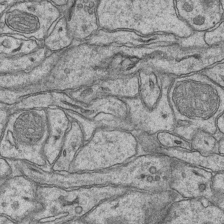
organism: Mouse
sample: CA1 Hippocampus